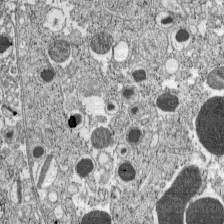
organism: C57BL Mouse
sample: Pancreatic islet